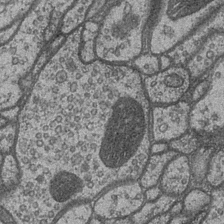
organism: Drosophila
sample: Optic medulla